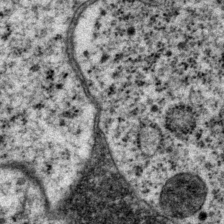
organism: P. pacificus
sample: Pharynx